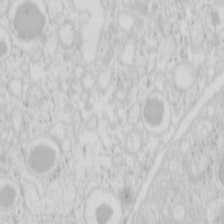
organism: Mouse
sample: Pancreas